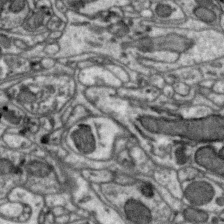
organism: Zebra finch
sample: Brain